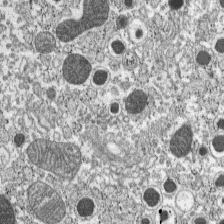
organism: C57BL Mouse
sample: Pancreatic islet